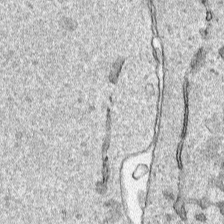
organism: Human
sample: Mitochondria in HCT116 cells